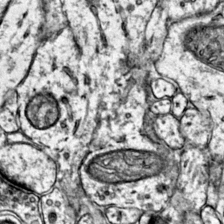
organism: Mouse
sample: Primary visual cortex